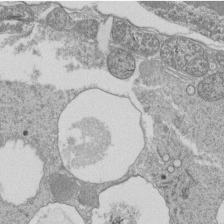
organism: Tetrahymena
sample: Cilia in tetrahymena